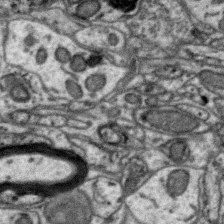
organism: Zebra finch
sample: Brain